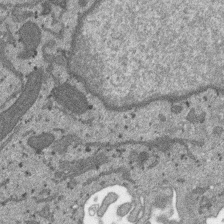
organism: Human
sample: Lung epithelial cells infected with SARS-CoV-2